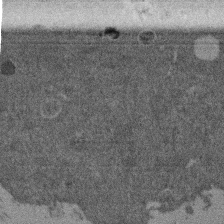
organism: Mouse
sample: Dividing mouse embryo 1 cell stage